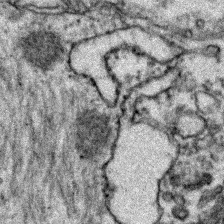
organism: Zebrafish